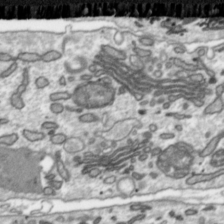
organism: Toxoplasma gondii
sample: Parasites in a vacuole inside a host cell